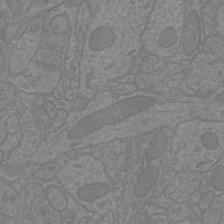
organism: Mouse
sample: Cortical neurons